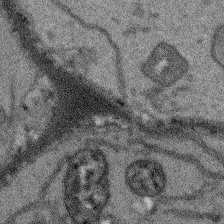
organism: Arabidopsis thaliana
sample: Root tip